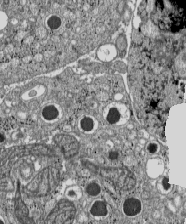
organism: C57BL Mouse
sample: Pancreatic islet